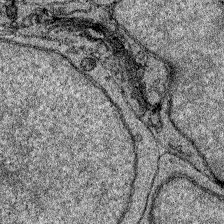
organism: Zebrafish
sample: Larval olfactory bulb